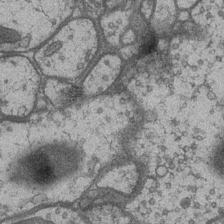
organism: Drosophila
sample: Optic medulla